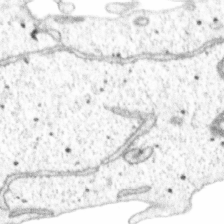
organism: Human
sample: HeLa cells